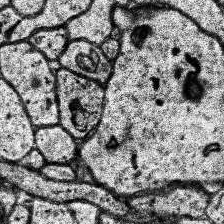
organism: Human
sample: Temporal Lobe